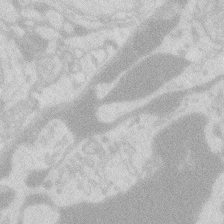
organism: Zebrafish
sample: Macrophage